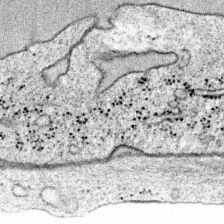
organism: Human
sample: HeLa cells